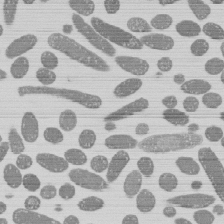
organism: E. coli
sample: Bacterial nucleoid